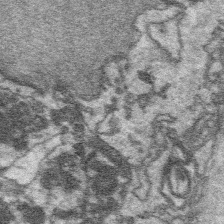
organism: Platynereis dumerilii